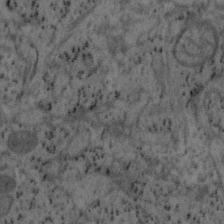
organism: Human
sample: HeLa cells